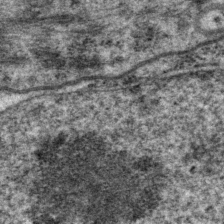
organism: P. pacificus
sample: Pharynx